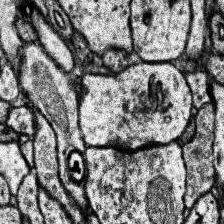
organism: Human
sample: Temporal Lobe